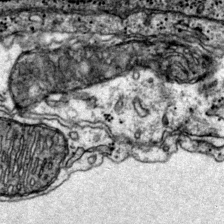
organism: Mouse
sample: Primary visual cortex